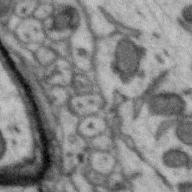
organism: Zebra finch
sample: Brain